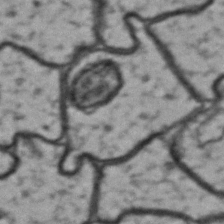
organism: Drosophila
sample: Brain